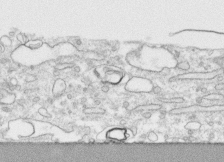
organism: Human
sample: CRL-1474